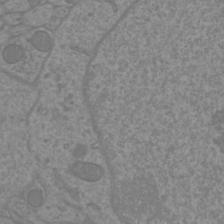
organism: Mouse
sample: Cortical neurons